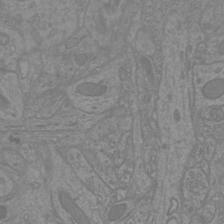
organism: Mouse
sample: Cortical neurons